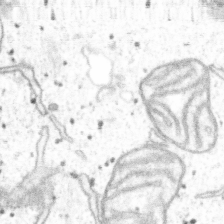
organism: Human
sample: HeLa cells